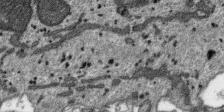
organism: Human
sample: Lung epithelial cells, uninfected (mock) control